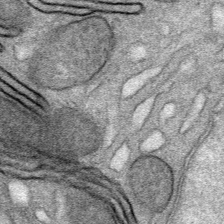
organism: Mouse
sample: Mouse Salivary gland